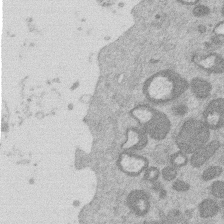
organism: Mouse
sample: Dividing mouse embryo 1 cell stage